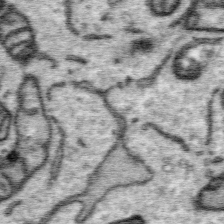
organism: Human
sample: HeLa cells